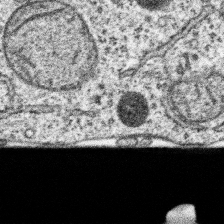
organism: Human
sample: HeLa cells